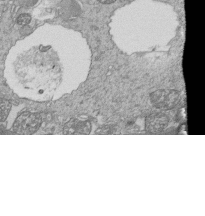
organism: Tetrahymena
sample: Cilia in tetrahymena